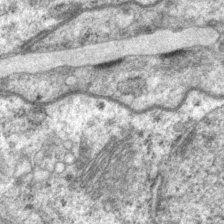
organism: P. pacificus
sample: Pharynx